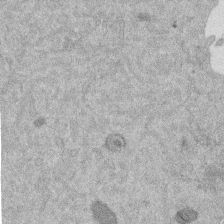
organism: Mouse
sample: Dividing mouse embryo 1 cell stage